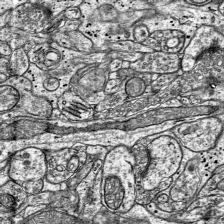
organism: Mouse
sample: Visual Cortex